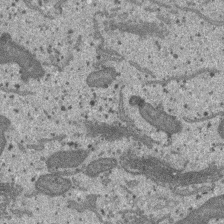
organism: Human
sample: Lung epithelial cells infected with SARS-CoV-2